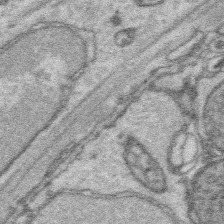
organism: Platynereis dumerilii